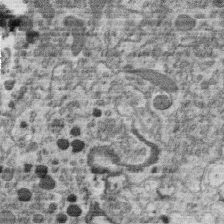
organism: C. elegans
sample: C. elegans oocyte; sperm cells